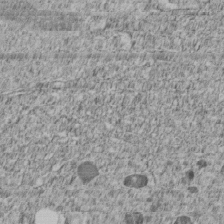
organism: C. elegans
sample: C. elegans embryo early stage